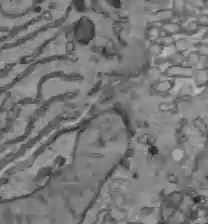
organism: C57BL Mouse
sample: Liver